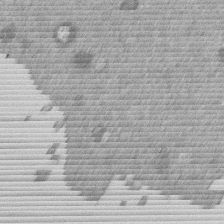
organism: Mouse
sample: Dividing mouse embryo 1 cell stage